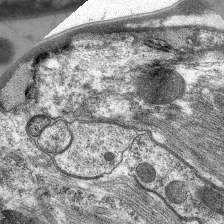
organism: C. elegans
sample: Pharynx